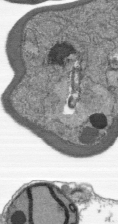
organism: Plasmodium falciparum